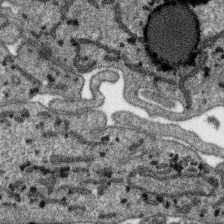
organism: Human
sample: Lung epithelial cells infected with SARS-CoV-2